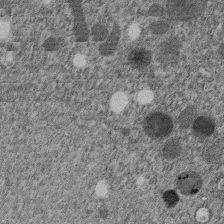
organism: C. elegans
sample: C. elegans embryo early stage